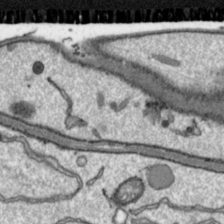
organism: Toxoplasma gondii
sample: Parasites in a vacuole inside a host cell